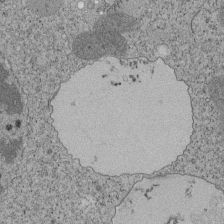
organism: Tetrahymena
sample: Cilia in tetrahymena